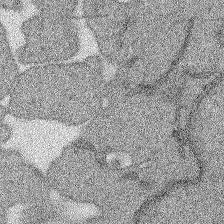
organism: Human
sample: HeLa cells